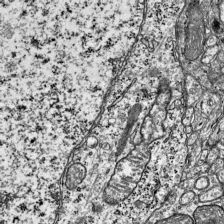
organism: Mouse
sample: Visual Cortex